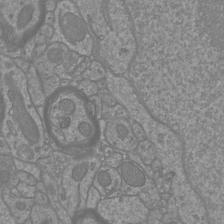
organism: Mouse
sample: Cortical neurons